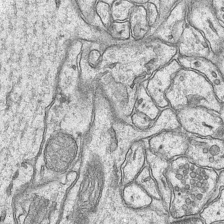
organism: Mouse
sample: CA1 Hippocampus